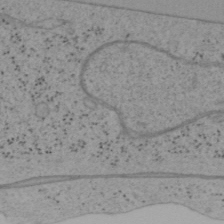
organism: Human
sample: HeLa cells